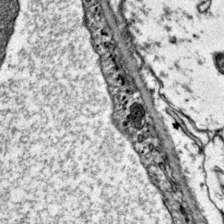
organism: Mouse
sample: Primary visual cortex